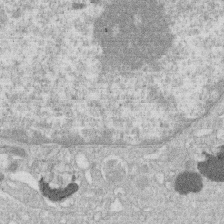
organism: Human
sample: Macrophage cells